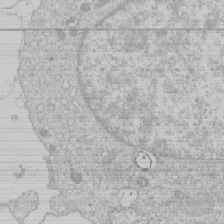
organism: Human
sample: Macrophage cells